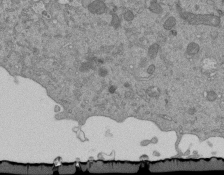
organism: Mouse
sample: ED-1 cell nuclei; centrioles